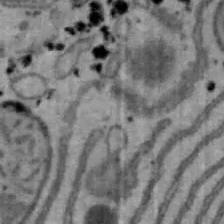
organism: Mouse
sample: Liver